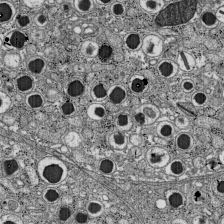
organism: C57BL Mouse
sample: Pancreatic islet